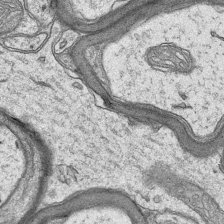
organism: Mouse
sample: CA1 Hippocampus